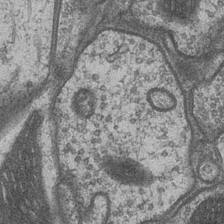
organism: Drosophila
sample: Optic medulla